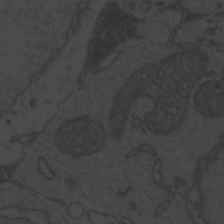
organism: Zebrafish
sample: Macrophage infected with Toxoplasma gondii